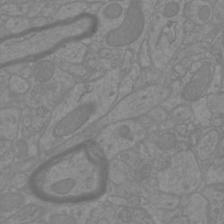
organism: Mouse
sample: Cortical neurons